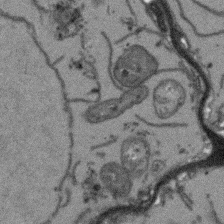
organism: Arabidopsis thaliana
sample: Root tip